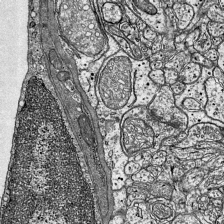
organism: Mouse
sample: Visual Cortex